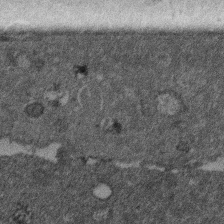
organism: Mouse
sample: Dividing mouse embryo 1 cell stage